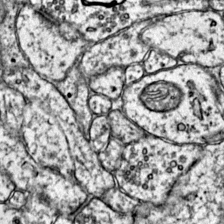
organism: Mouse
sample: Primary visual cortex